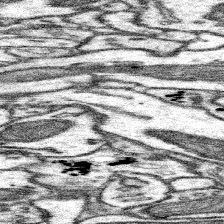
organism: Mouse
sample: Somatosensory cortex neuropil